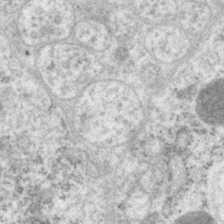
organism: P. pacificus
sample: Pharynx